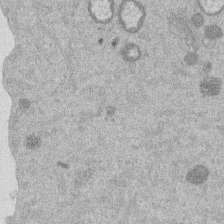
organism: Mouse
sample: Dividing mouse embryo 1 cell stage